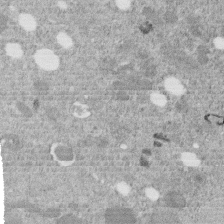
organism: C. elegans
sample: C. elegans embryo early stage